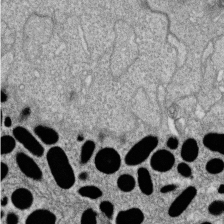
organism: Zebrafish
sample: Cilia; retinal pigment epithelium